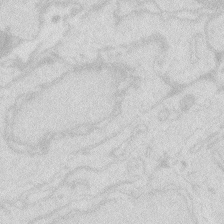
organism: Zebrafish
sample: Macrophage